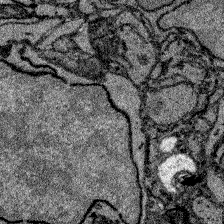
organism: Zebrafish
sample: Larval olfactory bulb